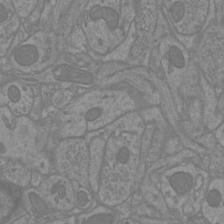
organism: Mouse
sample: Cortical neurons